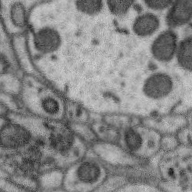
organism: Zebra finch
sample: Brain